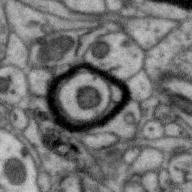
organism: Zebra finch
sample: Brain